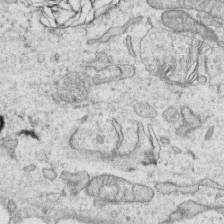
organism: Human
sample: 1205lu cells